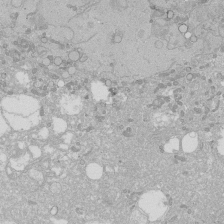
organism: Human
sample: Caco-2 cells